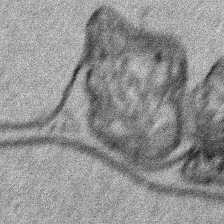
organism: Human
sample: Mitochondria in HCT116 cells